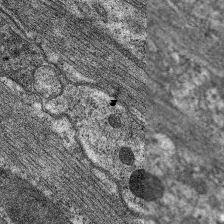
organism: C. elegans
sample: Pharynx